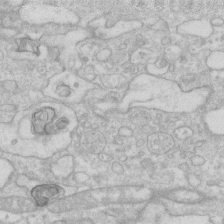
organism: Human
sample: Fibroblast cells